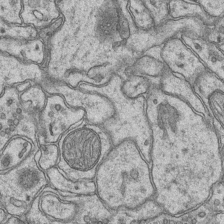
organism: Mouse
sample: CA1 Hippocampus